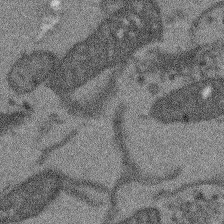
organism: Arabidopsis thaliana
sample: Root tip